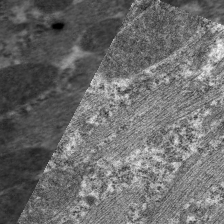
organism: C. elegans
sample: Pharynx